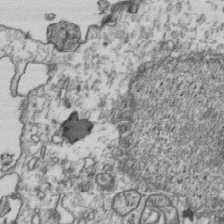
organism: Human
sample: Activated Jurkat CD4+ T cells